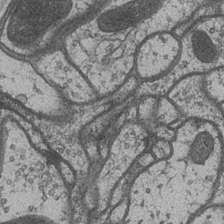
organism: Drosophila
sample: Optic medulla